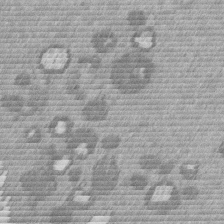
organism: Mouse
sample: Dividing mouse embryo 1 cell stage